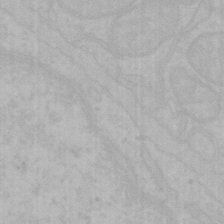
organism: Mouse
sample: Choroid plexus